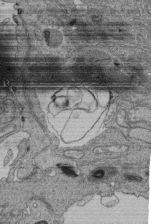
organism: Human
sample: Retinal organoid Rod and Cone cells